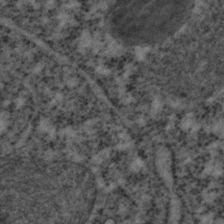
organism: C. elegans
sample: C. elegans embryo